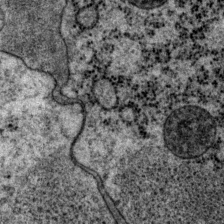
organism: P. pacificus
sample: Pharynx